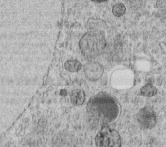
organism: C. elegans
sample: C. elegans embryo early stage